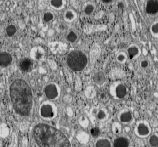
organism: C57BL Mouse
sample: Pancreatic islet